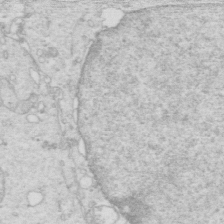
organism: Mouse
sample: Multiciliated cells